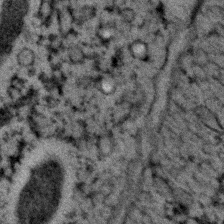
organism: C. elegans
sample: C. elegans embryo